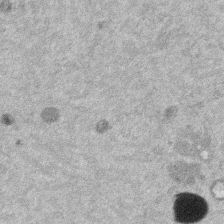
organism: Mouse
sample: Dividing mouse embryo 1 cell stage